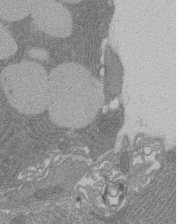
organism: Rat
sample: Salivary granule